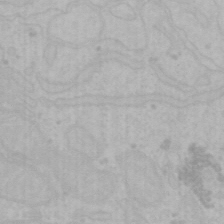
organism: Mouse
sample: Choroid plexus